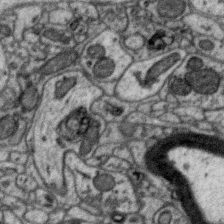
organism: Zebra finch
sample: Brain